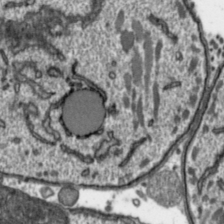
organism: Toxoplasma gondii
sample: Parasites in a vacuole inside a host cell